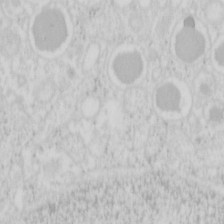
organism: Mouse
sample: Pancreas